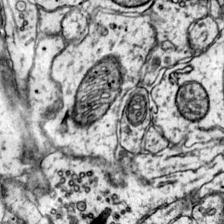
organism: Mouse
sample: Primary visual cortex